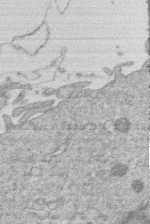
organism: Human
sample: Macrophage cells